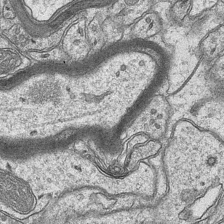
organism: Mouse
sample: CA1 Hippocampus